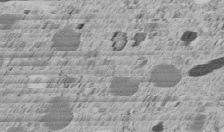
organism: C. elegans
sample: C. elegans embryo early stage